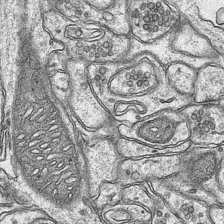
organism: Mouse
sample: CA1 Hippocampus